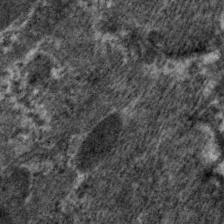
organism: C. elegans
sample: Pharynx